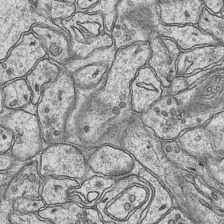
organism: Mouse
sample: CA1 Hippocampus